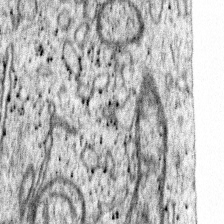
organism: Human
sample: HeLa cells